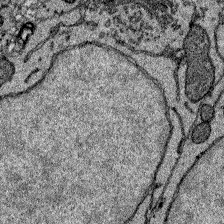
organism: Zebrafish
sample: Larval olfactory bulb